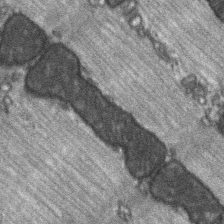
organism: C57BL Mouse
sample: Soleus